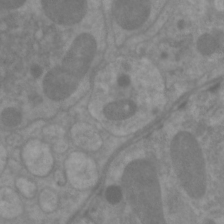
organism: C. elegans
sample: Pharynx